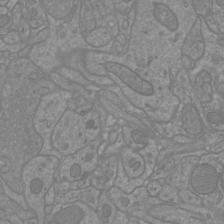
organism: Mouse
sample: Cortical neurons